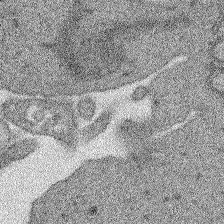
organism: Human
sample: HeLa cells